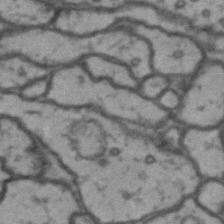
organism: Drosophila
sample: Brain